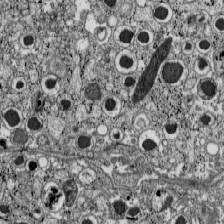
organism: C57BL Mouse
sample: Pancreatic islet